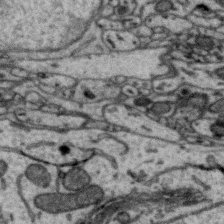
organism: Zebra finch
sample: Brain